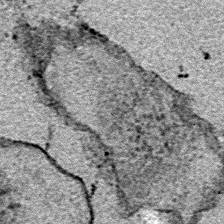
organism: E. coli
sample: E. Coli Bacteria